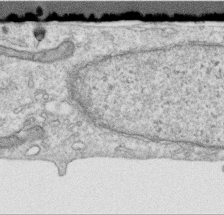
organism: Human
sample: Centriole in RPE cells